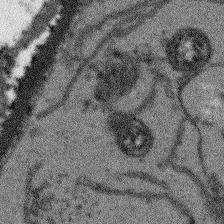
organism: Arabidopsis thaliana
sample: Root tip